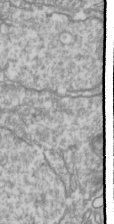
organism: Drosophila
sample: Cell division; meiosis; drosophila spermatocytes